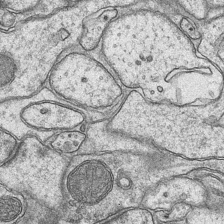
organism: Mouse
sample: CA1 Hippocampus